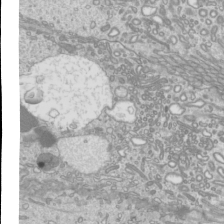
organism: Mouse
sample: Cilia; mouse epididymis